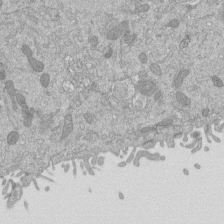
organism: Mouse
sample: ED-1 cell nuclei; centrioles